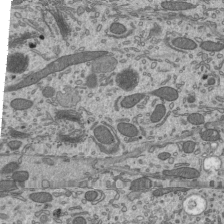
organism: Mouse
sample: Mouse epididymis efferent ductule cilia